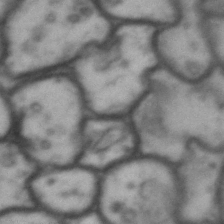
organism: Drosophila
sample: Brain